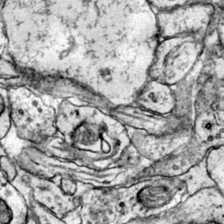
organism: Mouse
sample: Primary visual cortex